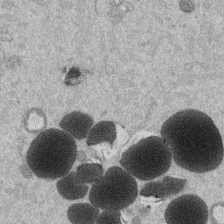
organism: Mouse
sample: Dividing mouse embryo 1 cell stage